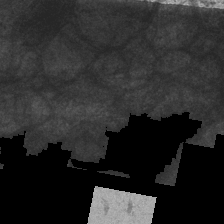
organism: Drosophila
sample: Optic medulla